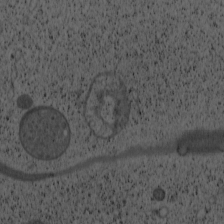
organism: African green monkey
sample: COS-7 cells